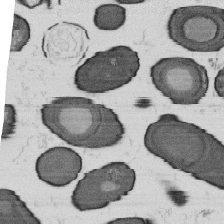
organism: B. subtilis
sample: Bacterial spore